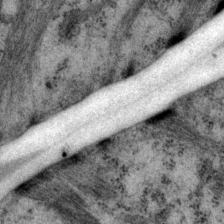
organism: P. pacificus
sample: Pharynx